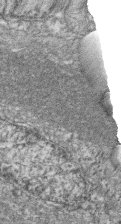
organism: Zebrafish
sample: Cilia; retinal pigment epithelium